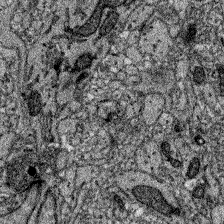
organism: Zebrafish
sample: Larval olfactory bulb